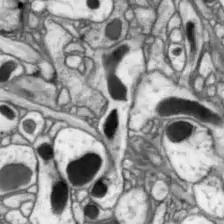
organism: Drosophila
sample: Optic lobe